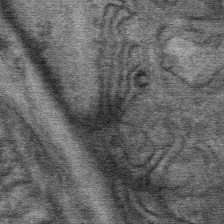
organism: Mouse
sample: Mouse Salivary gland